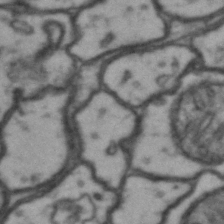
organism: Drosophila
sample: Brain